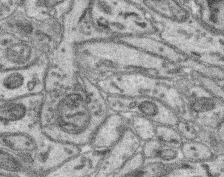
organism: Mouse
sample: Retina